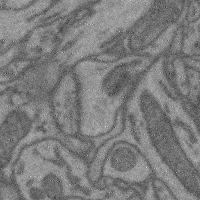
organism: Mouse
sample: Cerebral cortex